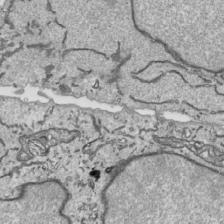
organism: Human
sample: Mitochondria in HCT116 cells